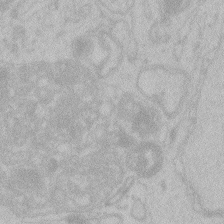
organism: Zebrafish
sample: Macrophage infected with Toxoplasma gondii